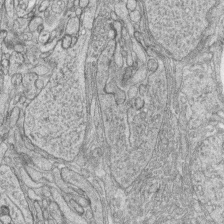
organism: Zebrafish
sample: synaptic ribbons in rod cells and cone cells